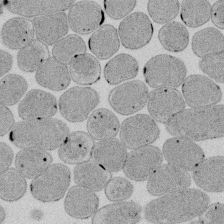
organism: E. coli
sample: Bacterial nucleoid